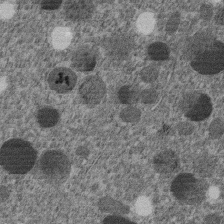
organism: C. elegans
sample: C. elegans embryo early stage